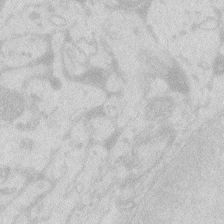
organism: Zebrafish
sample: Macrophage